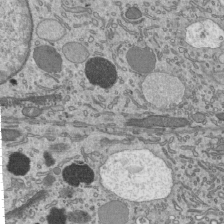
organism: Mouse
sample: Mouse epididymis efferent ductule cilia